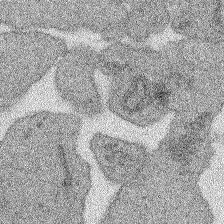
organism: Human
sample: HeLa cells